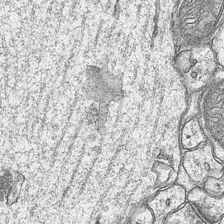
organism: Mouse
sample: CA1 Hippocampus